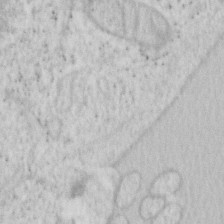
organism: Human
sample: HeLa cells